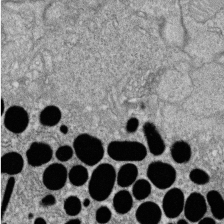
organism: Zebrafish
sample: Cilia; retinal pigment epithelium